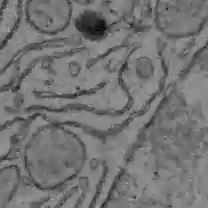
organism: C57BL Mouse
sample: Liver